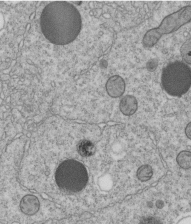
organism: C. elegans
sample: C. elegans embryo early stage